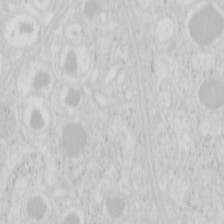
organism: Mouse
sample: Pancreas